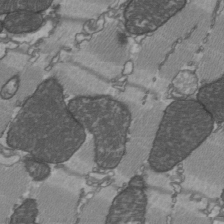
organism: C57BL Mouse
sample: Heart